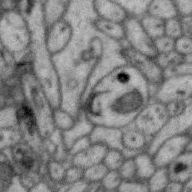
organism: Zebra finch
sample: Brain